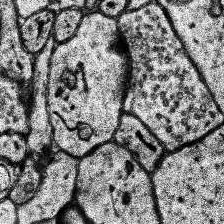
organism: Human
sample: Temporal Lobe